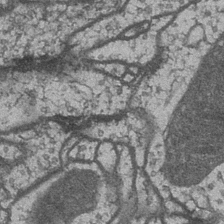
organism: Drosophila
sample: Optic medulla